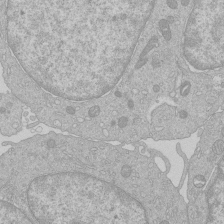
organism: Human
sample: Macrophage cells